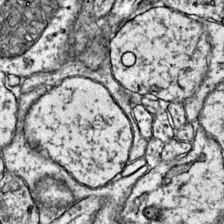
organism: Mouse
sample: Primary visual cortex